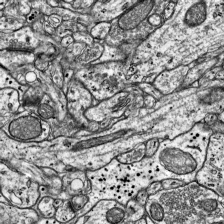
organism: Mouse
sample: Visual Cortex